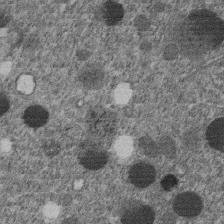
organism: C. elegans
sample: C. elegans embryo early stage